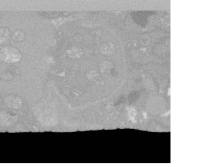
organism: C. elegans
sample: C. elegans oocyte; sperm cells